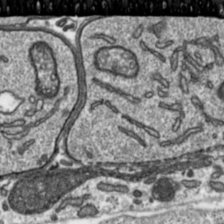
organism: Toxoplasma gondii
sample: Parasites in a vacuole inside a host cell